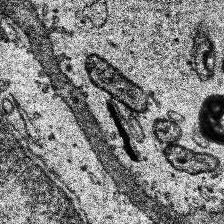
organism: Human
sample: Temporal Lobe